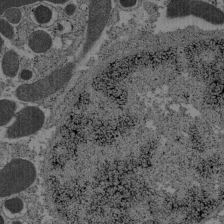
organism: C57BL Mouse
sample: Pancreatic islet